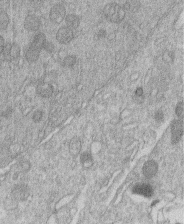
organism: Human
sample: Macrophage cells